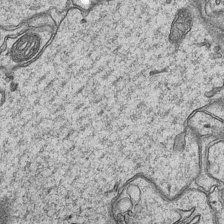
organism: Mouse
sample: CA1 Hippocampus